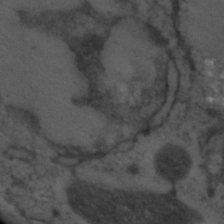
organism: C. elegans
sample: C. elegans embryo